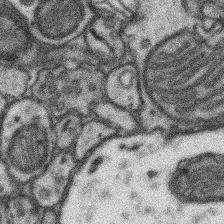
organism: Mouse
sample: Somatosensory cortex neuropil